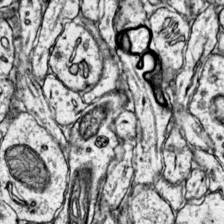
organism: Mouse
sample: Primary visual cortex